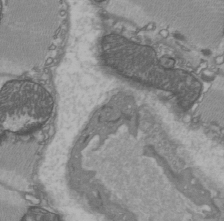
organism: C57BL Mouse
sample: Heart